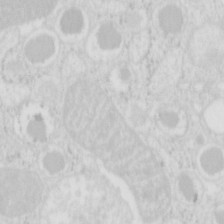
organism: Mouse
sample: Pancreas